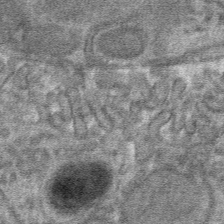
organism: Mouse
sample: Mouse hepatocytes